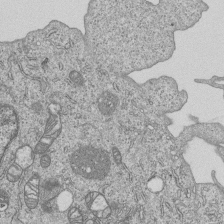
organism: Human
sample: MDA-MB-231 cells